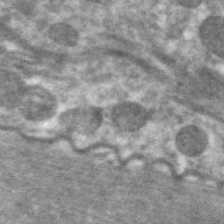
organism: C. elegans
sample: Pharynx